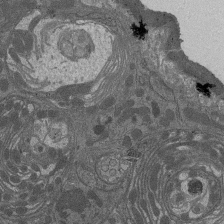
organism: Drosophila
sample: Antenna